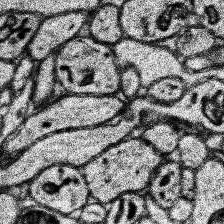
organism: Human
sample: Temporal Lobe